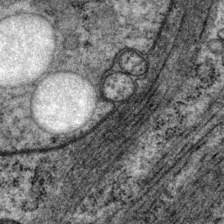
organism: P. pacificus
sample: Pharynx